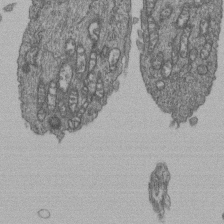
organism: Human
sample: Retinal organoid Rod and Cone cells